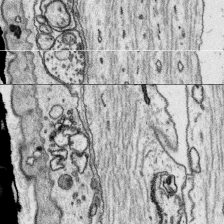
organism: Platynereis dumerilii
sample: Parapodia